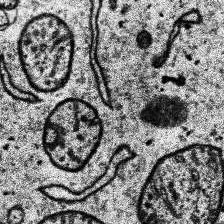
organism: Human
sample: Temporal Lobe